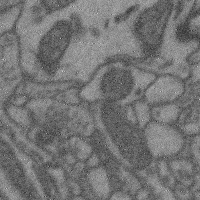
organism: Mouse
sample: Cerebral cortex